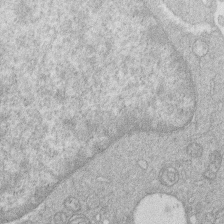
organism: Human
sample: Macrophage cells